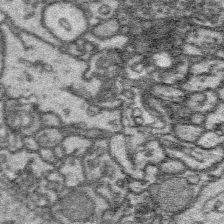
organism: Platynereis dumerilii